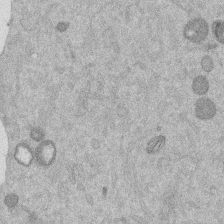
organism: Mouse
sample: Dividing mouse embryo 1 cell stage